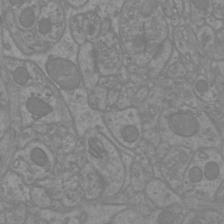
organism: Mouse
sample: Cortical neurons